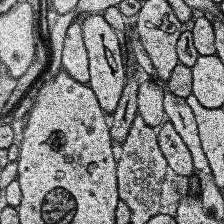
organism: Human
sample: Temporal Lobe